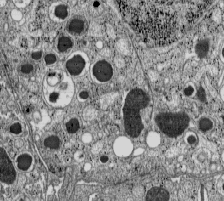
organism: C57BL Mouse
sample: Pancreatic islet